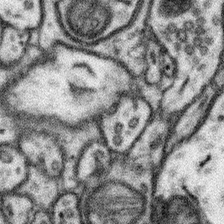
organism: Mouse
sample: Somatosensory cortex neuropil